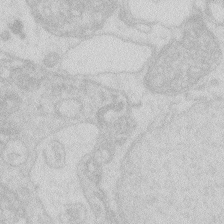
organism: Zebrafish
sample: Macrophage